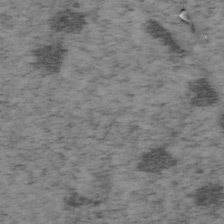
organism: Mouse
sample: OT-I killer T cells with ID8 ovarian cancer cells